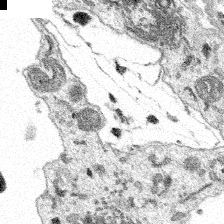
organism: Spongilla lacustris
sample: Multiple